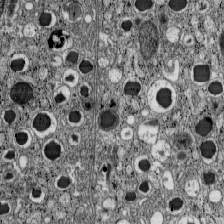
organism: C57BL Mouse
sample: Pancreatic islet